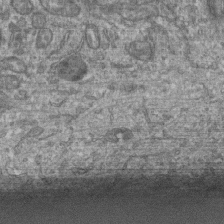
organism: Human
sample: Retinal organoid Rod and Cone cells